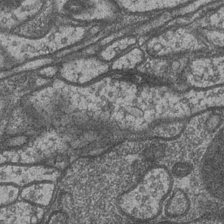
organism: Drosophila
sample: Optic medulla